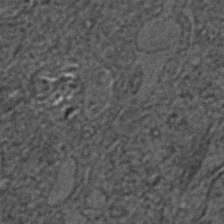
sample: Trachea